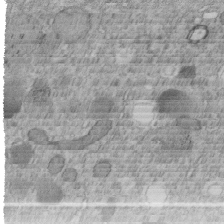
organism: C. elegans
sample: C. elegans embryo early stage